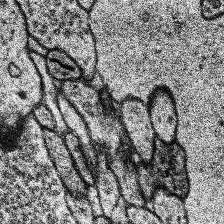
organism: Human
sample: Temporal Lobe